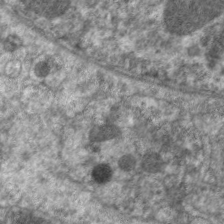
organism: C. elegans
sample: Pharynx